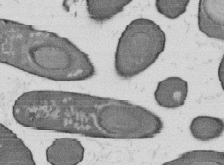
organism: B. subtilis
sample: Bacterial spore